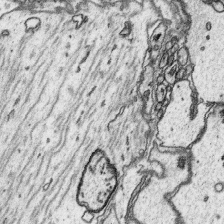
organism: Platynereis dumerilii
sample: Parapodia